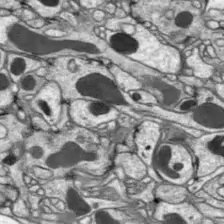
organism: Drosophila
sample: Optic lobe